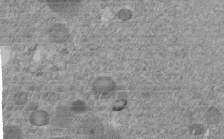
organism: C. elegans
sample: C. elegans embryo early stage